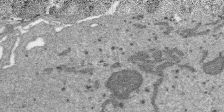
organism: Human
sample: Lung epithelial cells infected with SARS-CoV-2